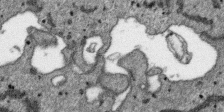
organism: Human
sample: Lung epithelial cells, uninfected (mock) control